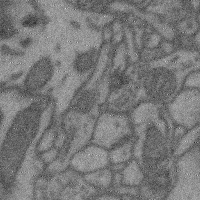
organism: Mouse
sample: Cerebral cortex